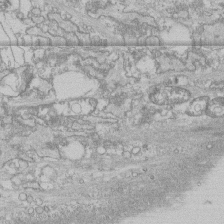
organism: Human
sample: CRL-1474